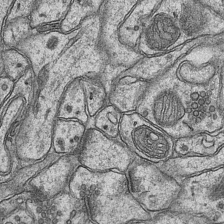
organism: Mouse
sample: CA1 Hippocampus